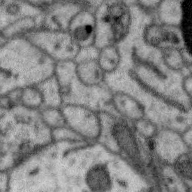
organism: Zebra finch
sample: Brain